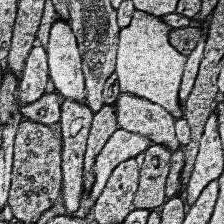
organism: Human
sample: Temporal Lobe